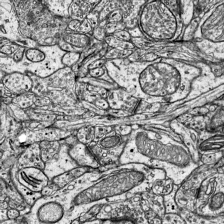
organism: Mouse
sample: Visual Cortex